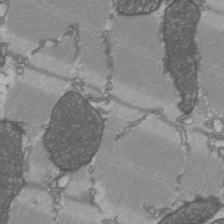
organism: C57BL Mouse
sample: Heart